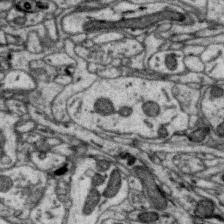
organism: Zebra finch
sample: Brain